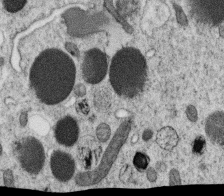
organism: C. elegans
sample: C. elegans oocyte; sperm cells